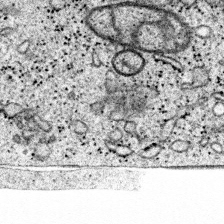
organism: Human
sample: HeLa cells